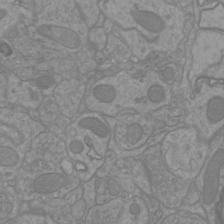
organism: Mouse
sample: Cortical neurons